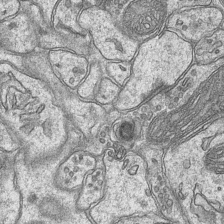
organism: Mouse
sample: CA1 Hippocampus